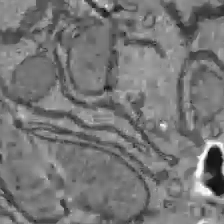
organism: C57BL Mouse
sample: Liver